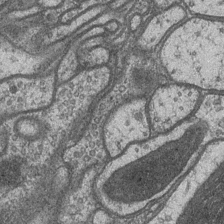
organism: Drosophila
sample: Optic medulla